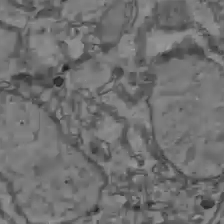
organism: C57BL Mouse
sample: Liver